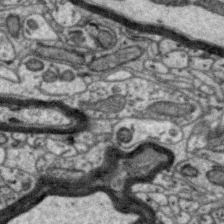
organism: Zebra finch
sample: Brain